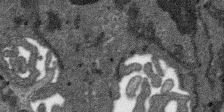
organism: Human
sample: Lung epithelial cells infected with SARS-CoV-2